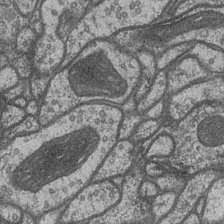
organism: Drosophila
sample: Optic medulla